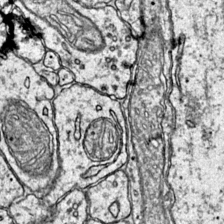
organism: Mouse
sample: Primary visual cortex